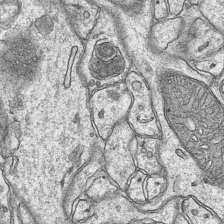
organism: Mouse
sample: CA1 Hippocampus